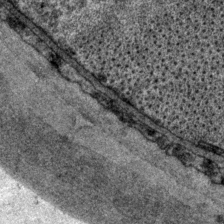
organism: P. pacificus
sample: Pharynx